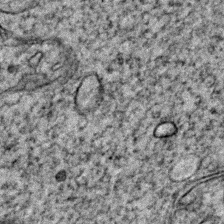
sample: Trachea